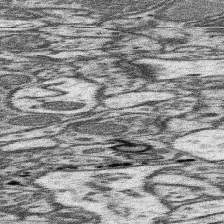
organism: Mouse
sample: Somatosensory cortex neuropil